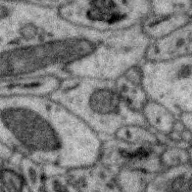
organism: Zebra finch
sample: Brain